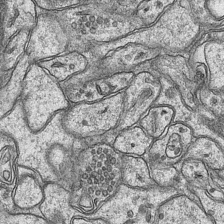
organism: Mouse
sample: CA1 Hippocampus